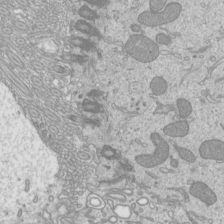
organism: Mouse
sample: Cilia; mouse epididymis